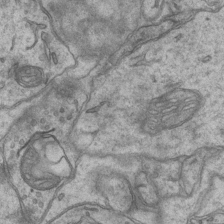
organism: Mouse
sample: CA1 Hippocampus